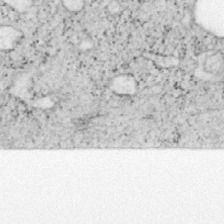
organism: Mouse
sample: OT-I killer T cells with ID8 ovarian cancer cells